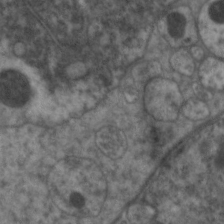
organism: C. elegans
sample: Pharynx